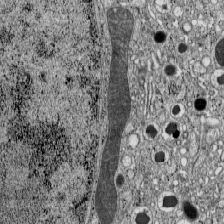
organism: C57BL Mouse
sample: Pancreatic islet